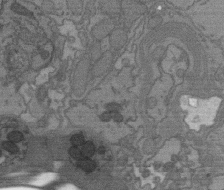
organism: C. elegans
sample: AFD neurons C. elegans